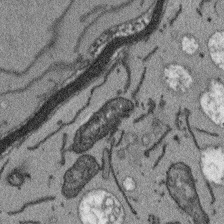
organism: Arabidopsis thaliana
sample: Root tip